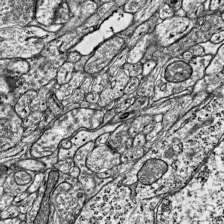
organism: Mouse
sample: Visual Cortex